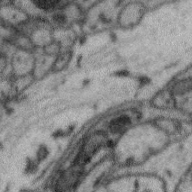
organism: Zebra finch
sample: Brain